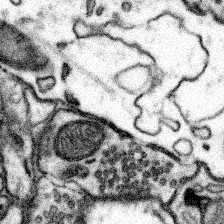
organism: Mouse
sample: Somatosensory cortex neuropil